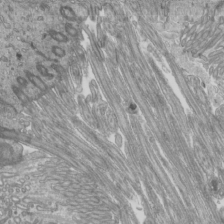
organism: Mouse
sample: Cilia; mouse epididymis